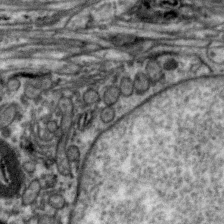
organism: Zebra finch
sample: Brain